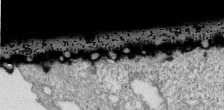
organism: Human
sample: HeLa cell HIV synapse